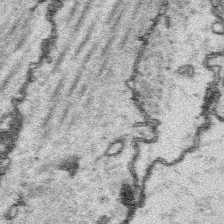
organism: Platynereis dumerilii